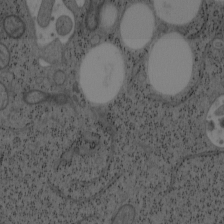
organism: Mouse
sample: OT-I killer T cells with ID8 ovarian cancer cells